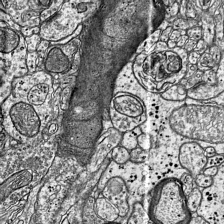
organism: Mouse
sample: Visual Cortex